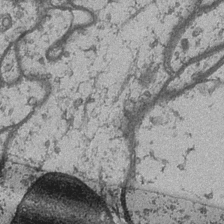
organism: Drosophila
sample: Optic medulla